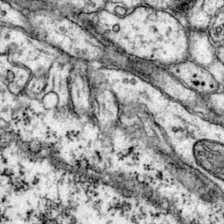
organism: Mouse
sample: Primary visual cortex